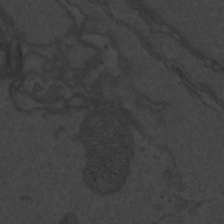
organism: Zebrafish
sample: Macrophage infected with Toxoplasma gondii